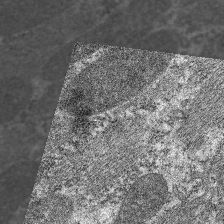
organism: C. elegans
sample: Pharynx